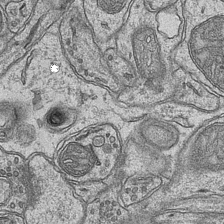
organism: Mouse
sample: CA1 Hippocampus